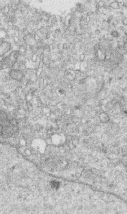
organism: Human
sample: HeLa cell HIV synapse